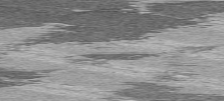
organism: C57BL Mouse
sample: Heart